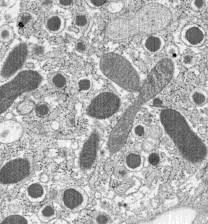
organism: C57BL Mouse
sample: Pancreatic islet